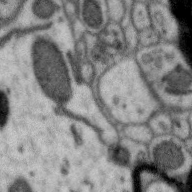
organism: Zebra finch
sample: Brain